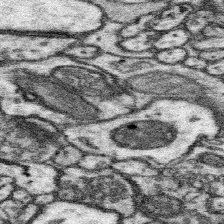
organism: Mouse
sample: Somatosensory cortex neuropil